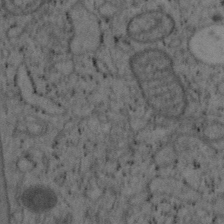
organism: Human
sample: HeLa cells